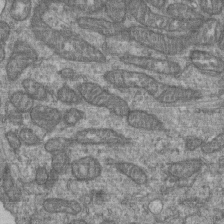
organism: Human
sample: Retinal organoid Rod and Cone cells